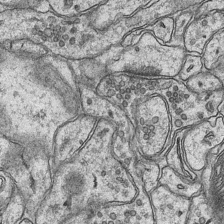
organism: Mouse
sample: CA1 Hippocampus